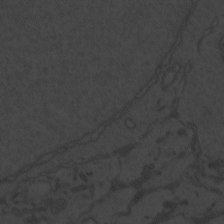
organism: Zebrafish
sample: Macrophage infected with Toxoplasma gondii